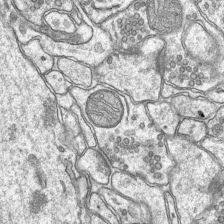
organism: Mouse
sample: CA1 Hippocampus